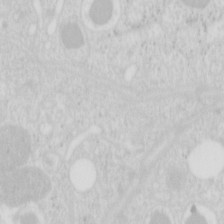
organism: Mouse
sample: Pancreas